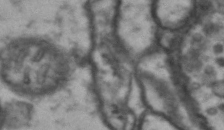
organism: Drosophila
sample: Brain